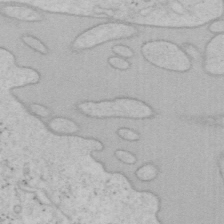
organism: Human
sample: HeLa cells